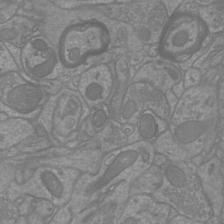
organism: Mouse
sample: Cortical neurons